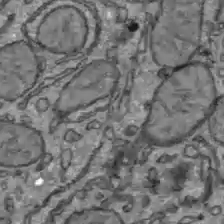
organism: C57BL Mouse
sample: Liver